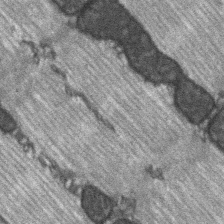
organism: C57BL Mouse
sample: Soleus